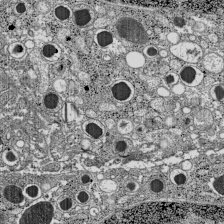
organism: C57BL Mouse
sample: Pancreatic islet